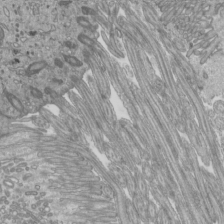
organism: Mouse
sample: Cilia; mouse epididymis